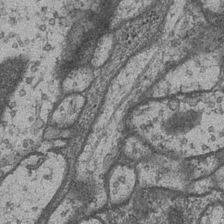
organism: Drosophila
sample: Optic medulla